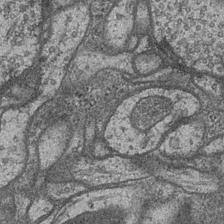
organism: Drosophila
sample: Optic medulla